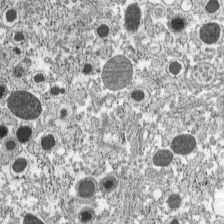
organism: C57BL Mouse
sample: Pancreatic islet